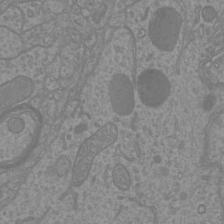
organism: Mouse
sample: Cortical neurons